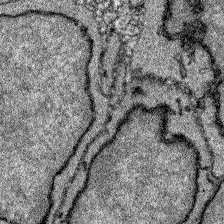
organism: Zebrafish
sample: Larval olfactory bulb